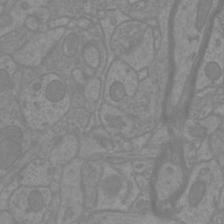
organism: Mouse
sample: Cortical neurons